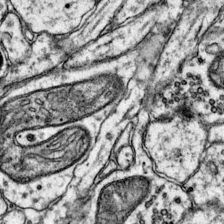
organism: Mouse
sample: Primary visual cortex